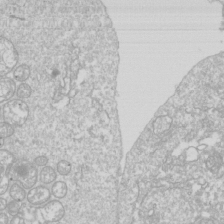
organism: Drosophila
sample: Cell division; meiosis; drosophila spermatocytes